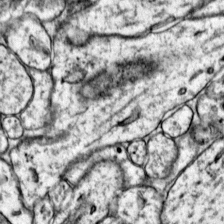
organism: Mouse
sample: Primary visual cortex